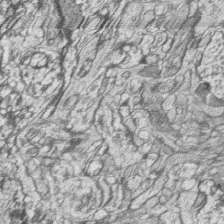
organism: Zebrafish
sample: synaptic ribbons in rod cells and cone cells